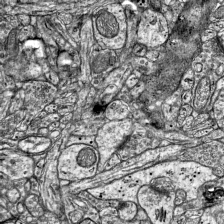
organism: Mouse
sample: Visual Cortex